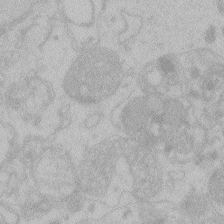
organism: Zebrafish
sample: Macrophage infected with Toxoplasma gondii